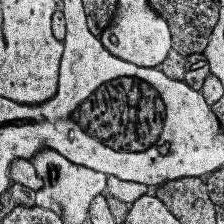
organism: Human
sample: Temporal Lobe